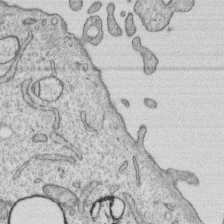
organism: Human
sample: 1205lu cells